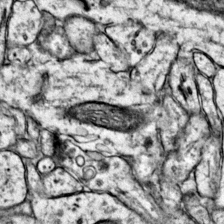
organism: Mouse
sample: Primary visual cortex